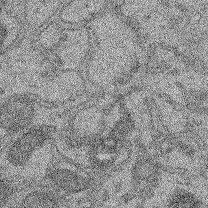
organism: Human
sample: HeLa cells